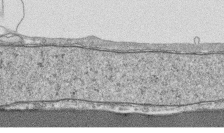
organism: Human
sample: CRL-1474